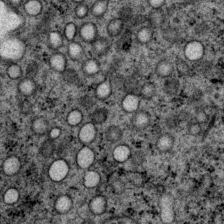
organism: P. pacificus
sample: Pharynx